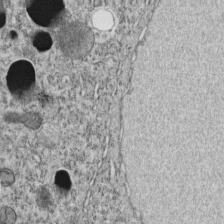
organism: C. elegans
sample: C. elegans embryo early stage